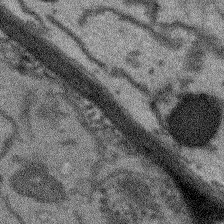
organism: Arabidopsis thaliana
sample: Root tip